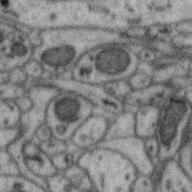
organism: Zebra finch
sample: Brain